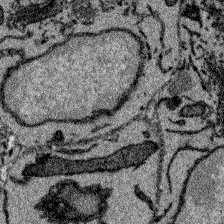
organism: Zebrafish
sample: Larval olfactory bulb